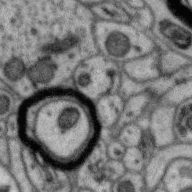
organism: Zebra finch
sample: Brain